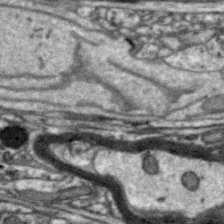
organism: Zebra finch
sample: Brain